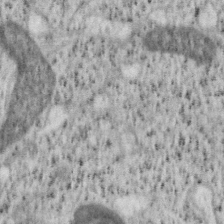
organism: Mouse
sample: OT-I killer T cells with ID8 ovarian cancer cells